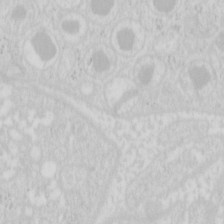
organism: Mouse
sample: Pancreas